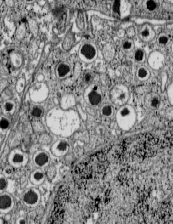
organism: C57BL Mouse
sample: Pancreatic islet